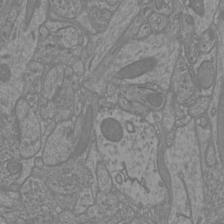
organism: Mouse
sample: Cortical neurons